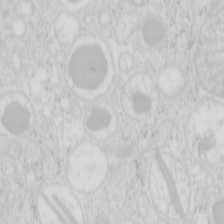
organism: Mouse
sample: Pancreas